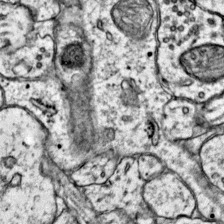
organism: Mouse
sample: Primary visual cortex